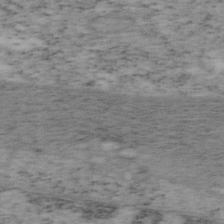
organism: Mouse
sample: OT-I killer T cells with ID8 ovarian cancer cells